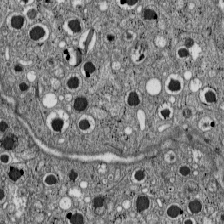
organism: C57BL Mouse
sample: Pancreatic islet